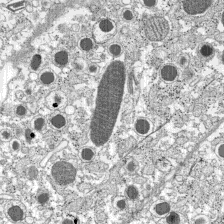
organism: C57BL Mouse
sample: Pancreatic islet